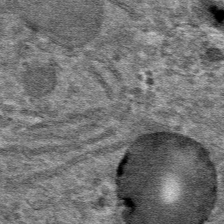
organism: Mouse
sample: Mouse hepatocytes